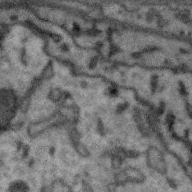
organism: Zebra finch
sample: Brain